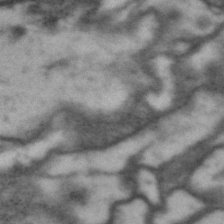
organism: Drosophila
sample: Brain